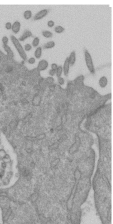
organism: Mouse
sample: ED-1 cell nuclei; centrioles